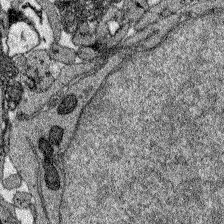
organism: Zebrafish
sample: Larval olfactory bulb